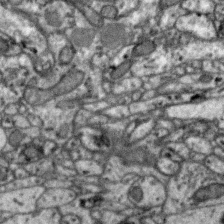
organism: Zebra finch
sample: Brain